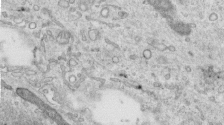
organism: Human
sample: Centriole in RPE cells